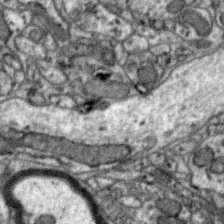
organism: Zebra finch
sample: Brain